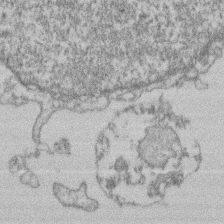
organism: Mouse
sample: T cell stromal cell synapse